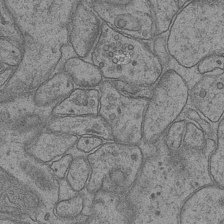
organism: Mouse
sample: CA1 Hippocampus